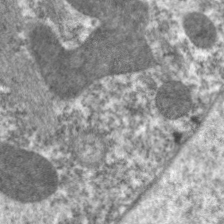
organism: C. elegans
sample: Pharynx